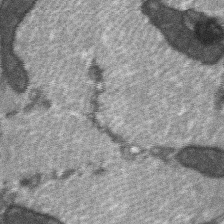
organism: C57BL Mouse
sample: Soleus